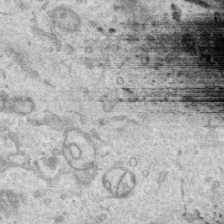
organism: Human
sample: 1205lu cells